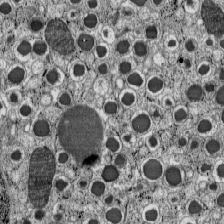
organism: C57BL Mouse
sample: Pancreatic islet